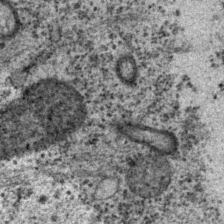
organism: P. pacificus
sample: Pharynx